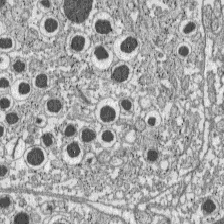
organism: C57BL Mouse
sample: Pancreatic islet